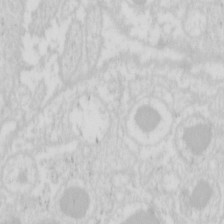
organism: Mouse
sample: Pancreas